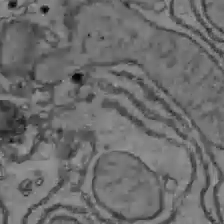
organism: C57BL Mouse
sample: Liver